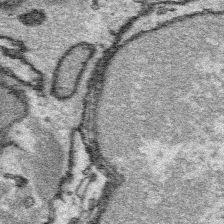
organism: Platynereis dumerilii